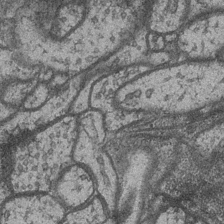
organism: Drosophila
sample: Optic medulla